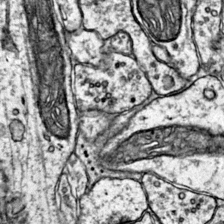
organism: Mouse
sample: Primary visual cortex